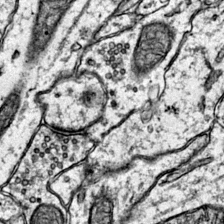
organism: Mouse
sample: Primary visual cortex